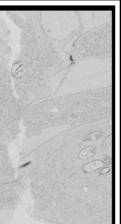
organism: Human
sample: Mitochondria in HCT116 cells